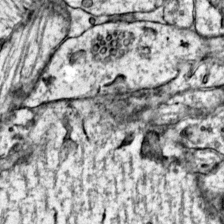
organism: Mouse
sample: Primary visual cortex